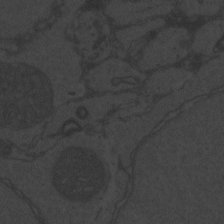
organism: Zebrafish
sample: Macrophage infected with Toxoplasma gondii